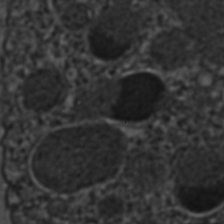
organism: C. elegans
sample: C. elegans embryo